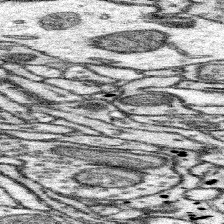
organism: Mouse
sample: Somatosensory cortex neuropil